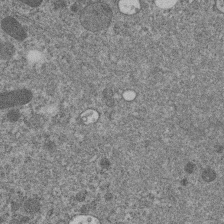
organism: C. elegans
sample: C. elegans embryo early stage